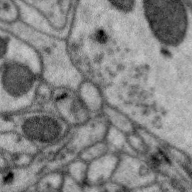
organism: Zebra finch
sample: Brain